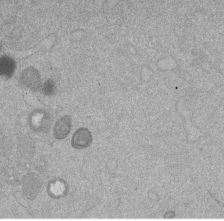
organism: Mouse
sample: Dividing mouse embryo 1 cell stage